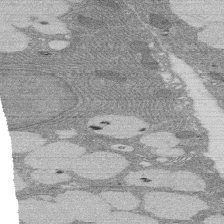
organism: Rat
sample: Salivary granule